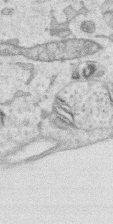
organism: Human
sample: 1205lu cells